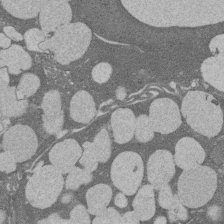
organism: Rat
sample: Salivary granule